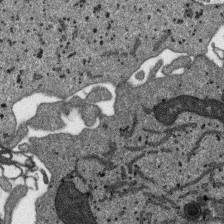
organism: Human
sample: Lung epithelial cells infected with SARS-CoV-2